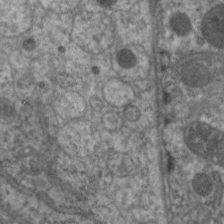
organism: C. elegans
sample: Pharynx